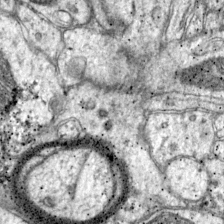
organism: Mouse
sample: Primary visual cortex